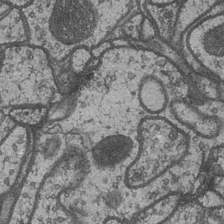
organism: Drosophila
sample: Optic medulla